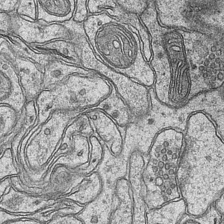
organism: Mouse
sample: CA1 Hippocampus